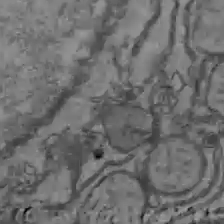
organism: C57BL Mouse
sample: Liver